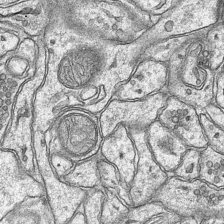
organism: Mouse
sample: CA1 Hippocampus